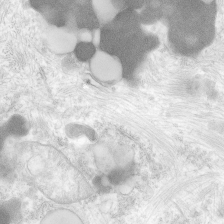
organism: Human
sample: Neocortex